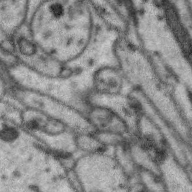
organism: Zebra finch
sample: Brain